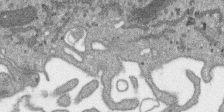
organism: Human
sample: Lung epithelial cells infected with SARS-CoV-2